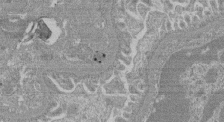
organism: Mouse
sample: Glomerulus